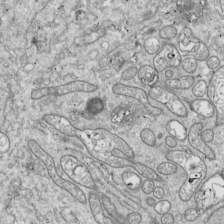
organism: Drosophila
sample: Cell division; meiosis; drosophila spermatocytes